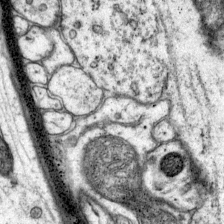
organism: Mouse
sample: Primary visual cortex